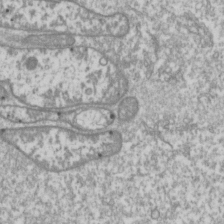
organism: Drosophila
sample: Cell division; meiosis; drosophila spermatocytes